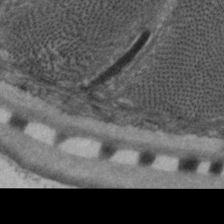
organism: C. elegans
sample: Pharynx